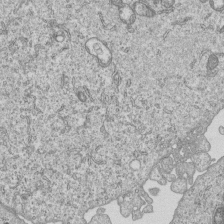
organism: Human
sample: MDA-MB-231 cells